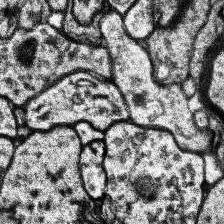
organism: Human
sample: Temporal Lobe